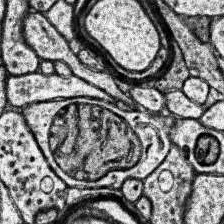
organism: Human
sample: Temporal Lobe